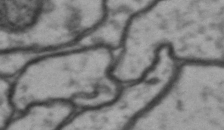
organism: Drosophila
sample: Brain